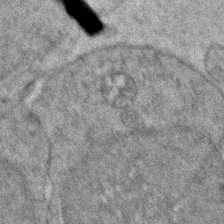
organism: Zebrafish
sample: Zebrafish embryo